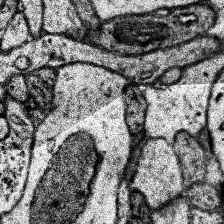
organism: Human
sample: Temporal Lobe